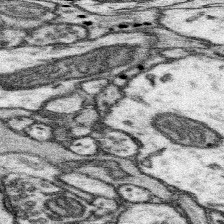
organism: Mouse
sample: Somatosensory cortex neuropil